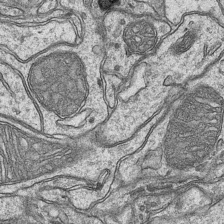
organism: Mouse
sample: CA1 Hippocampus